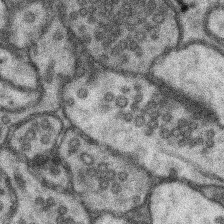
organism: Mouse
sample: Somatosensory cortex neuropil